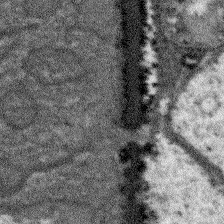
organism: Arabidopsis thaliana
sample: Root tip